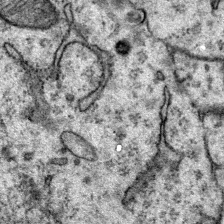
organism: Mouse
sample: Primary visual cortex